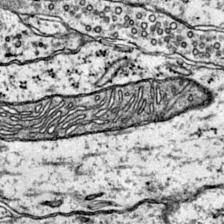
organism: Mouse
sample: Primary visual cortex